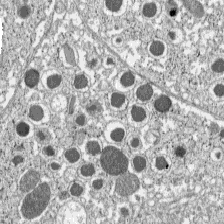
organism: C57BL Mouse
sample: Pancreatic islet